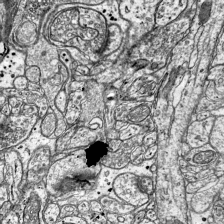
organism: Mouse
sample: Visual Cortex